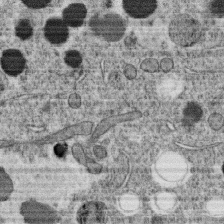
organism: C. elegans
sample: C. elegans oocyte; sperm cells